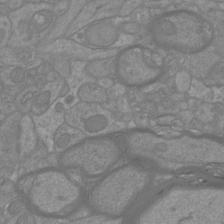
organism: Mouse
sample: Cortical neurons